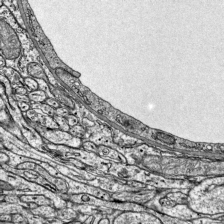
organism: Mouse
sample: Visual Cortex